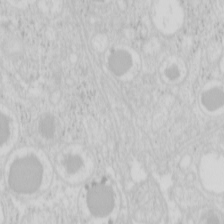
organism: Mouse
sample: Pancreas